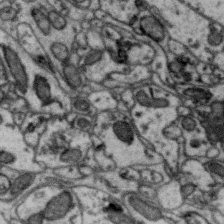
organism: Zebra finch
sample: Brain